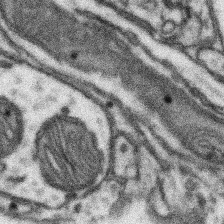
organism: Mouse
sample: Somatosensory cortex neuropil